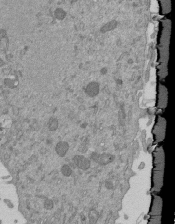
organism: Mouse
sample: ED-1 cell nuclei; centrioles